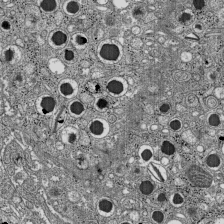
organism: C57BL Mouse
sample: Pancreatic islet